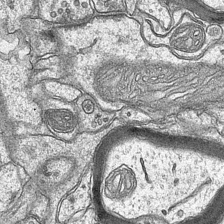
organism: Mouse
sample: CA1 Hippocampus